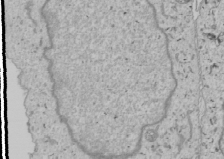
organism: Human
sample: Mitochondria in U2OS cells